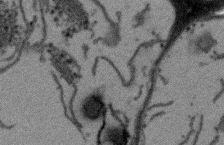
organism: Arabidopsis thaliana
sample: Root tip